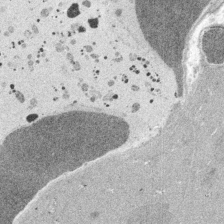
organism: Embia sp.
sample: Silk gland